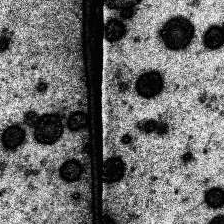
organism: Human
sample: Temporal Lobe